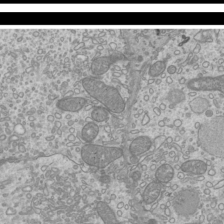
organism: Mouse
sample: Cilia; mouse epididymis